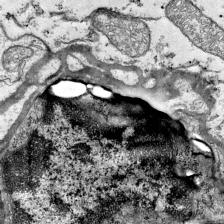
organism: Mouse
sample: Visual Cortex